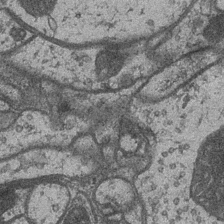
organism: Drosophila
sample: Optic medulla